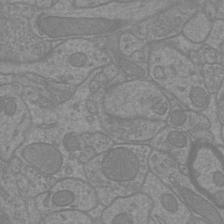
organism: Mouse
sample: Cortical neurons